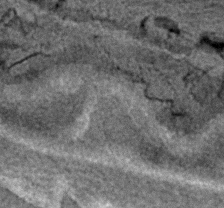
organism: C. elegans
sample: C. elegans embryo